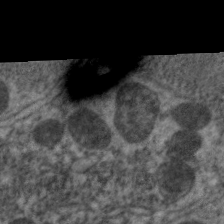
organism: C. elegans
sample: Pharynx